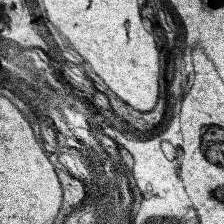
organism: Human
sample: Temporal Lobe